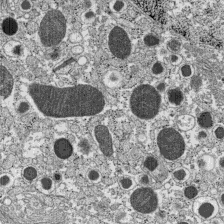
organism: C57BL Mouse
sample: Pancreatic islet